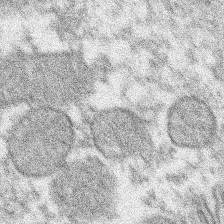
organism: Xenopus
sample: Cilia; centrioles in frog embryo cells